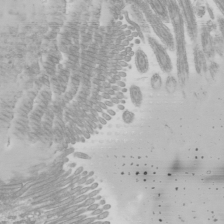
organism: Mouse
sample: Cilia; mouse epididymis